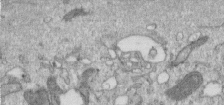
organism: Human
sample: Centriole in RPE cells